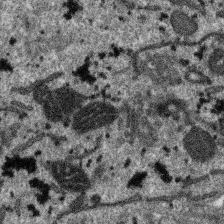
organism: Human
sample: Lung epithelial cells infected with SARS-CoV-2